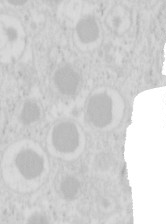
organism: Mouse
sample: Pancreas